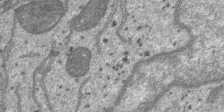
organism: Human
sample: Lung epithelial cells infected with SARS-CoV-2